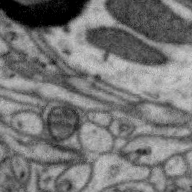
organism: Zebra finch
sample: Brain